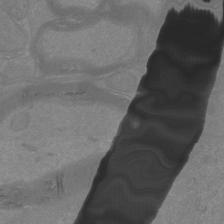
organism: Mouse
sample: Cortical neurons